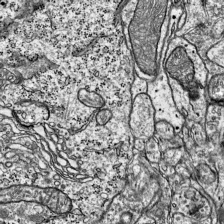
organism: Mouse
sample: Visual Cortex